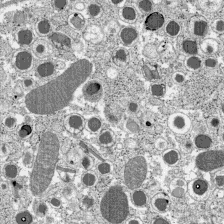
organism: C57BL Mouse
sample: Pancreatic islet